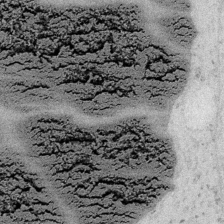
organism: Embia sp.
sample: Silk gland